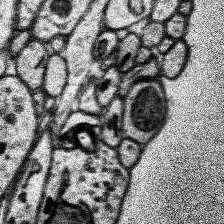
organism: Human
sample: Temporal Lobe